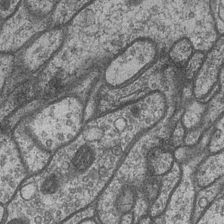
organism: Drosophila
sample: Optic medulla